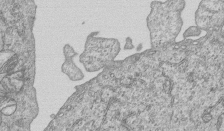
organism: Human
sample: MDA-MB-231 cells